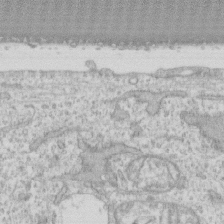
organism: Human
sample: CRL-1474